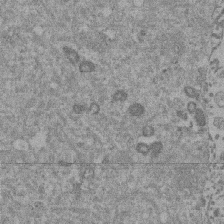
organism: Mouse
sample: Dividing mouse embryo 1 cell stage